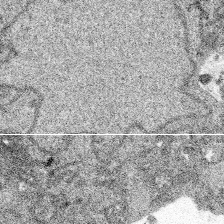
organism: Spongilla lacustris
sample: Multiple